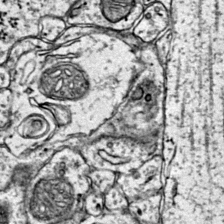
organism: Mouse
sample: Primary visual cortex